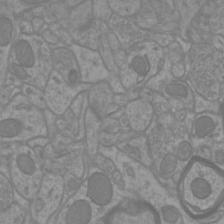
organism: Mouse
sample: Cortical neurons